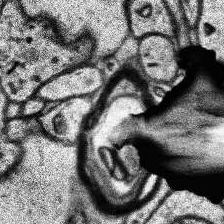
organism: Human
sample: Temporal Lobe